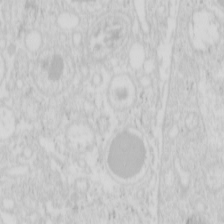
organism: Mouse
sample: Pancreas